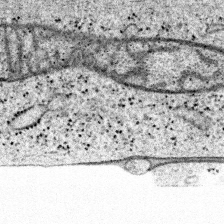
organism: Human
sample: HeLa cells